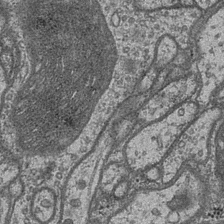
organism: Drosophila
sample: Optic medulla